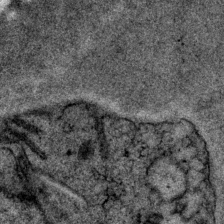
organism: P. pacificus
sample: Pharynx